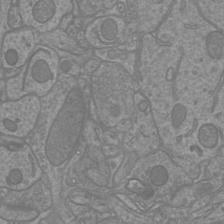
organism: Mouse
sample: Cortical neurons